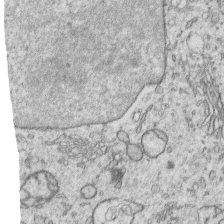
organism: Human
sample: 1205lu cells